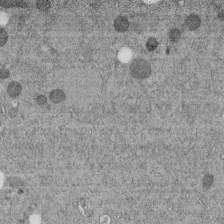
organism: C. elegans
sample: C. elegans embryo early stage